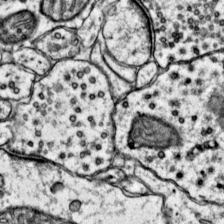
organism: Mouse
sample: Primary visual cortex